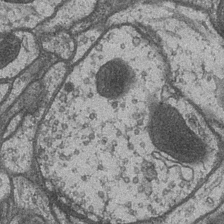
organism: Drosophila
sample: Optic medulla